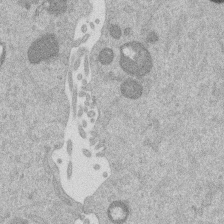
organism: Mouse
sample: Dividing mouse embryo 1 cell stage